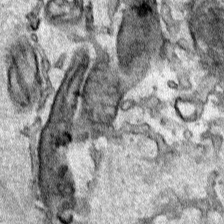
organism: Human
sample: Mitochondria in HCT116 cells